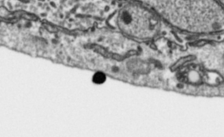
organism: Toxoplasma gondii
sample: Parasites in a vacuole inside a host cell